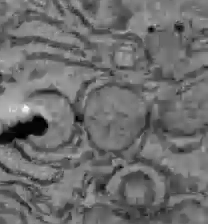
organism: C57BL Mouse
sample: Liver